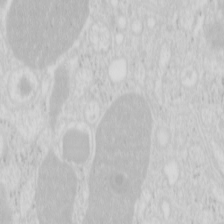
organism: Mouse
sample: Pancreas